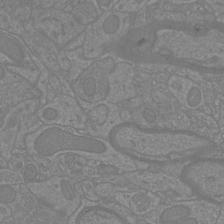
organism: Mouse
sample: Cortical neurons